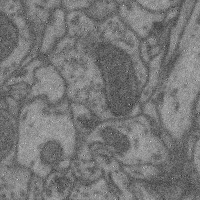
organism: Mouse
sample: Cerebral cortex